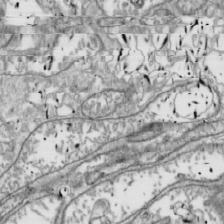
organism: Drosophila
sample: Cell division; meiosis; drosophila spermatocytes